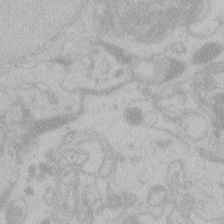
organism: Zebrafish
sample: Macrophage infected with Toxoplasma gondii